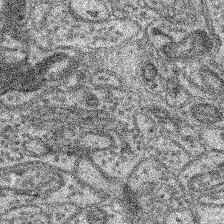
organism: Mouse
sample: Retina